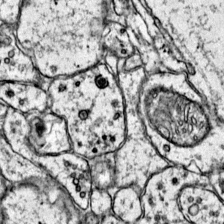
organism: Mouse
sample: Primary visual cortex